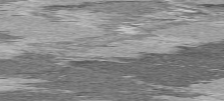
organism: C57BL Mouse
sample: Heart